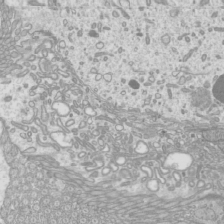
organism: Mouse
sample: Cilia; mouse epididymis